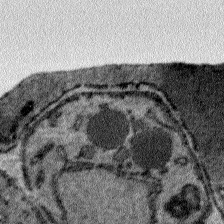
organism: Plasmodium falciparum